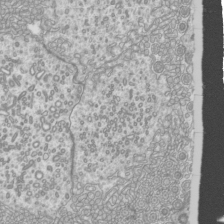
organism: Mouse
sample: Cilia; mouse epididymis